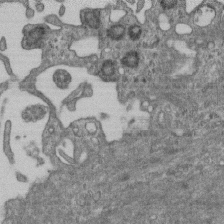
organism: Mouse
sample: Centriole in ependymal cells